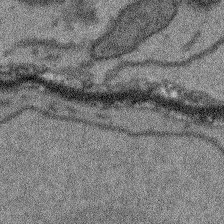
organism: Arabidopsis thaliana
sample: Root tip